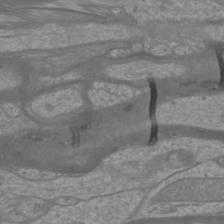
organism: Mouse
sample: Cortical neurons